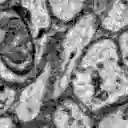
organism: Zebrafish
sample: Brain